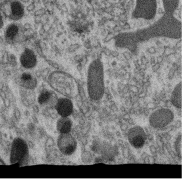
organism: C. elegans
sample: C. elegans oocyte; sperm cells